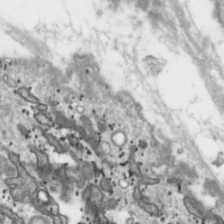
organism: Toxoplasma gondii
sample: Parasites in a vacuole inside a host cell